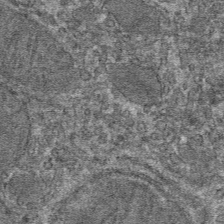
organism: Mouse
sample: Mouse hepatocytes